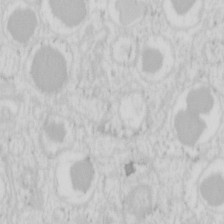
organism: Mouse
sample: Pancreas